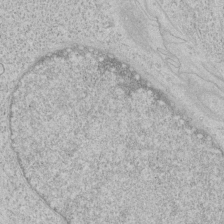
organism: Human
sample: Mitochondria in HCT116 cells